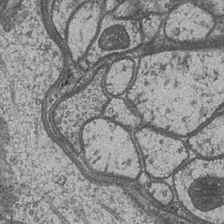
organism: Drosophila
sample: Optic medulla